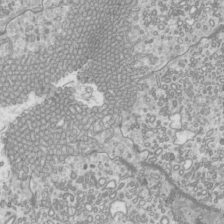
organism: Mouse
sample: Cilia; mouse epididymis